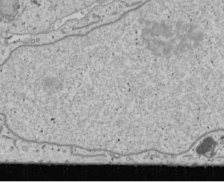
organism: Human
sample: Mitochondria in U2OS cells